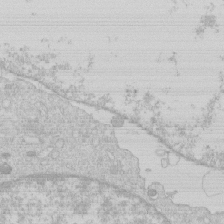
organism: Human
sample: Macrophage cells